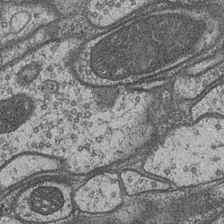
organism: Drosophila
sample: Optic medulla